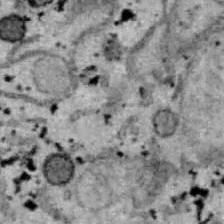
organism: Mouse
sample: Liver from an obese (ob/ob) mouse